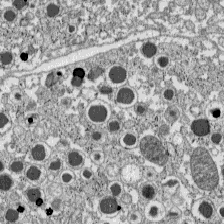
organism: C57BL Mouse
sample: Pancreatic islet